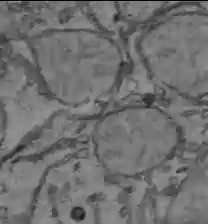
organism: C57BL Mouse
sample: Liver